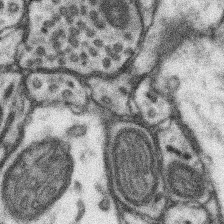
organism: Mouse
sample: Somatosensory cortex neuropil